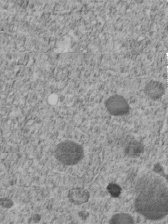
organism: C. elegans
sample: C. elegans embryo early stage